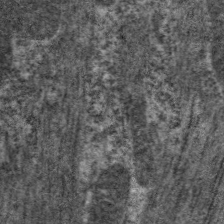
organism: C. elegans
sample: Pharynx